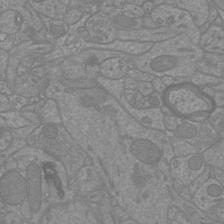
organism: Mouse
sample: Cortical neurons